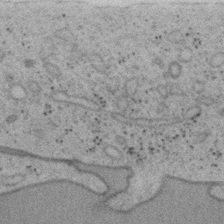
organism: Human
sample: HeLa cells